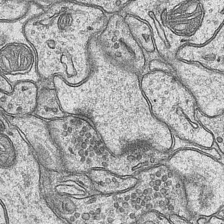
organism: Mouse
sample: CA1 Hippocampus